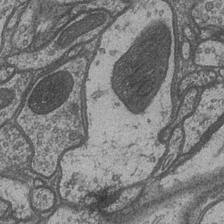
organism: Drosophila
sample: Optic medulla